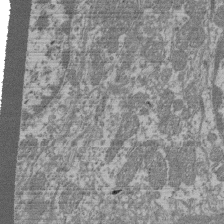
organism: Mouse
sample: Glomerulus